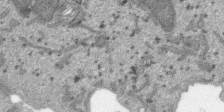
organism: Human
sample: Lung epithelial cells infected with SARS-CoV-2